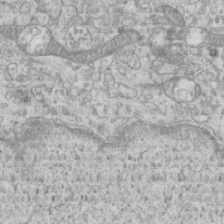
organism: Mouse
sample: Centriole in ependymal cells